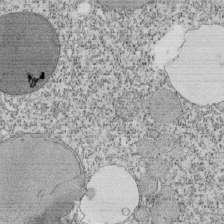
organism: Tetrahymena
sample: Cilia in tetrahymena